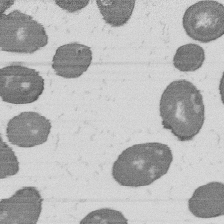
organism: B. subtilis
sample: Bacterial spore